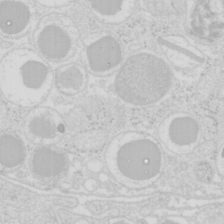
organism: Mouse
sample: Pancreas